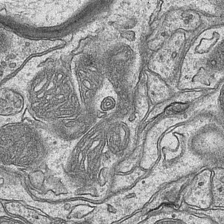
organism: Mouse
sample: CA1 Hippocampus